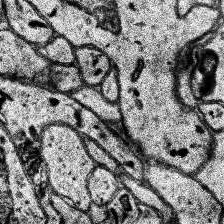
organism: Human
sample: Temporal Lobe